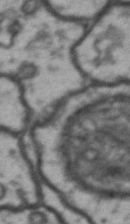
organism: Drosophila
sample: Brain